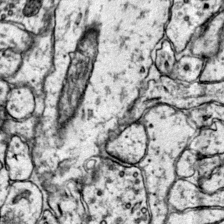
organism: Mouse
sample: Primary visual cortex